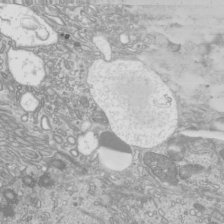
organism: Mouse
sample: Cilia; mouse epididymis